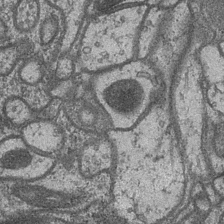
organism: Drosophila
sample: Optic medulla